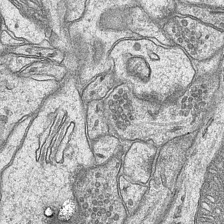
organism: Mouse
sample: CA1 Hippocampus